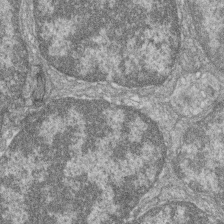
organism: Zebrafish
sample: Cilia; retinal pigment epithelium